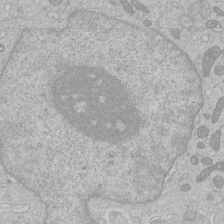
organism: Human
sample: Macrophage cells